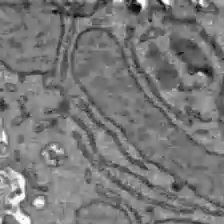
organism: C57BL Mouse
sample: Liver